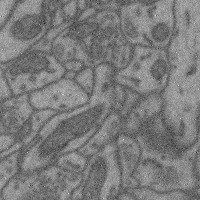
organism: Mouse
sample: Cerebral cortex